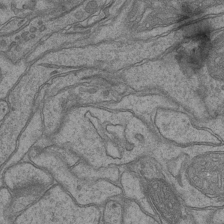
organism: Mouse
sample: CA1 Hippocampus